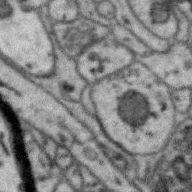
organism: Zebra finch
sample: Brain